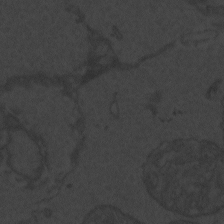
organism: Zebrafish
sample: Macrophage infected with Toxoplasma gondii